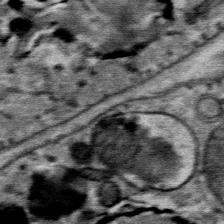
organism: Mouse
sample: Mouse Salivary gland